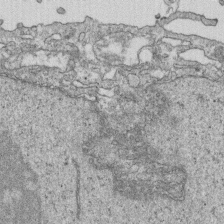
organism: Human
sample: HeLa cell HIV synapse